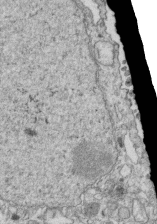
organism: Human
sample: HeLa cell HIV synapse